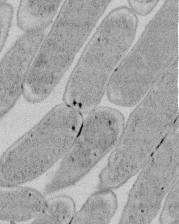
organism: E. coli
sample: Bacterial nucleoid